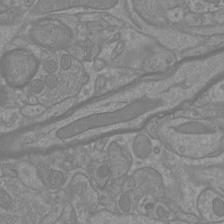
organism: Mouse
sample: Cortical neurons